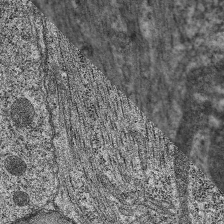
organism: C. elegans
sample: Pharynx